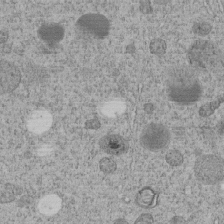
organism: C. elegans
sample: C. elegans embryo early stage